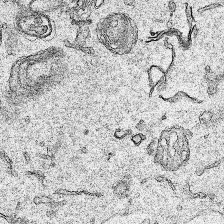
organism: Human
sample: Mitochondria in HCT116 cells